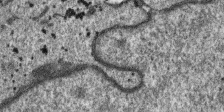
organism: Human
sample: Lung epithelial cells infected with SARS-CoV-2